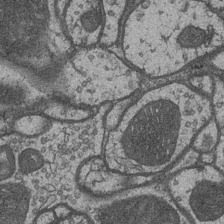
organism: Drosophila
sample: Optic medulla